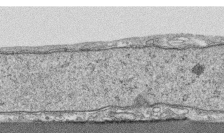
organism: Human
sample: CRL-1474